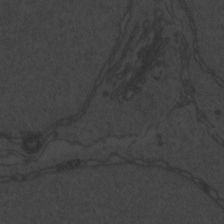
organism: Zebrafish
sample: Macrophage infected with Toxoplasma gondii